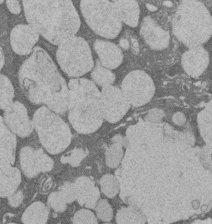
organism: Rat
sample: Salivary granule